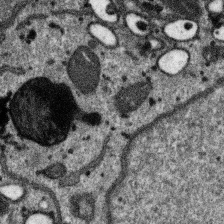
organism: Human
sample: Lung epithelial cells infected with SARS-CoV-2